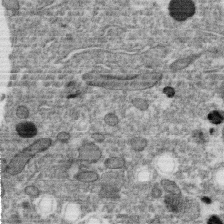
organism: C. elegans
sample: C. elegans oocyte; sperm cells